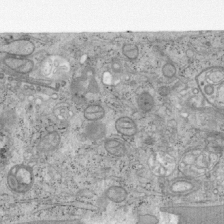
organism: Human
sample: HeLa cells